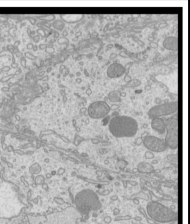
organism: Mouse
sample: Cilia; mouse epididymis